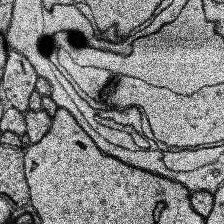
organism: Human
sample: Temporal Lobe